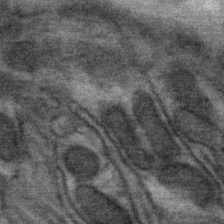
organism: Mouse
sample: Mouse Salivary gland